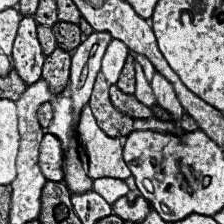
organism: Human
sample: Temporal Lobe